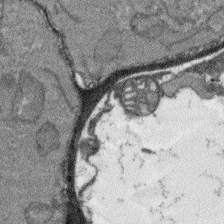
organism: Arabidopsis thaliana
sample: Root tip